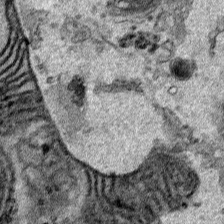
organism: Human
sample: Mitochondria in HCT116 cells